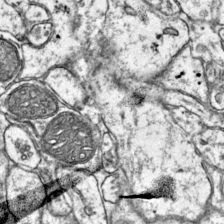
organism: Mouse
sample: Primary visual cortex